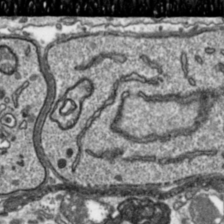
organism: Toxoplasma gondii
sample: Parasites in a vacuole inside a host cell